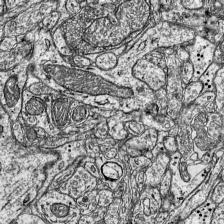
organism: Mouse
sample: Visual Cortex